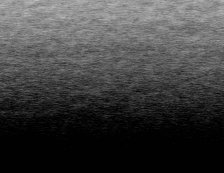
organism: Human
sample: HeLa cells